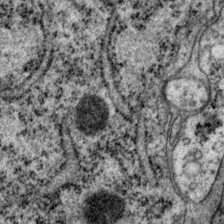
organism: P. pacificus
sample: Pharynx